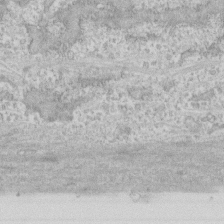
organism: Human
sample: CRL-1474